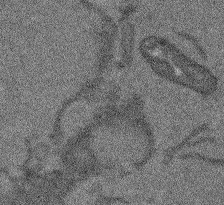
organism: Arabidopsis thaliana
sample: Root tip